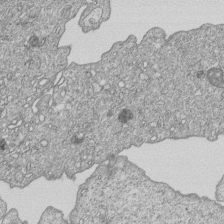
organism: Human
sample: MDA-MB-231 cells